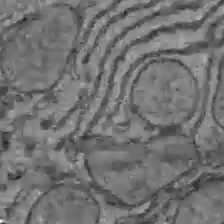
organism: C57BL Mouse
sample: Liver